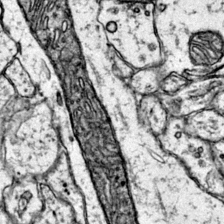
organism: Mouse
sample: Primary visual cortex